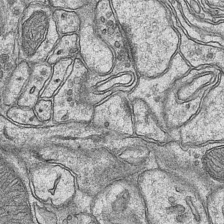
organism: Mouse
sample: CA1 Hippocampus